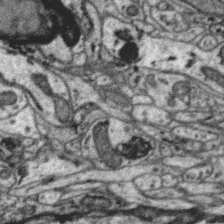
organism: Zebra finch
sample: Brain